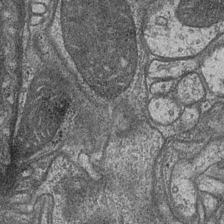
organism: Drosophila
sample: Optic medulla